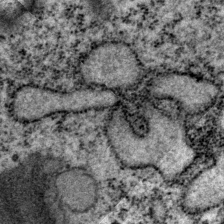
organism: P. pacificus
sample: Pharynx